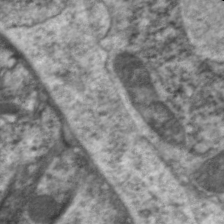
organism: C. elegans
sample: Pharynx